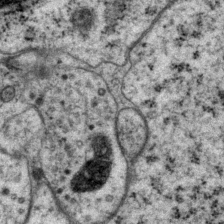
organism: P. pacificus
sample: Pharynx